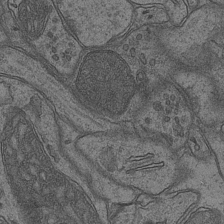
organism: Mouse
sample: CA1 Hippocampus